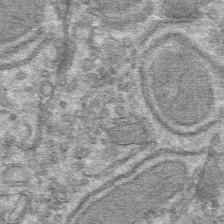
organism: Mouse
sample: Mouse hepatocytes